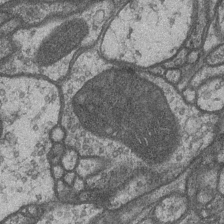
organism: Drosophila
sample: Optic medulla